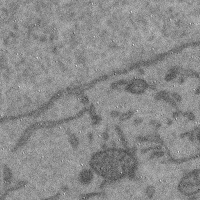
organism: Mouse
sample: Cerebral cortex